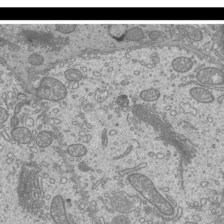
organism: Mouse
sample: Cilia; mouse epididymis